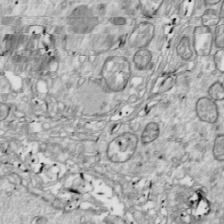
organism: Drosophila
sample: Cell division; meiosis; drosophila spermatocytes